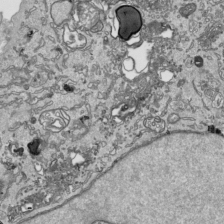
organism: Human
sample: Mitochondria in HCT116 cells